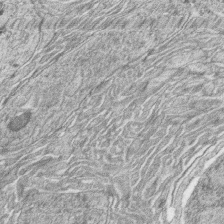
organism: Zebrafish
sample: synaptic ribbons in rod cells and cone cells